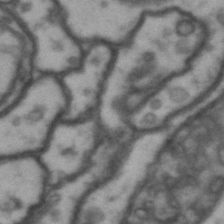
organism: Drosophila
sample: Brain